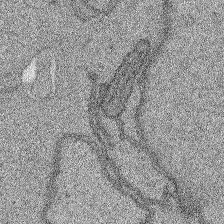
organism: Human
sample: HeLa cells